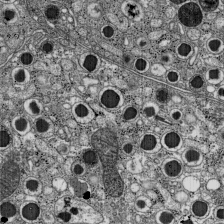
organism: C57BL Mouse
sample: Pancreatic islet